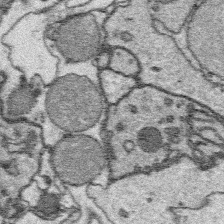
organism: Platynereis dumerilii